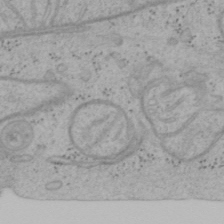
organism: Human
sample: HeLa cells